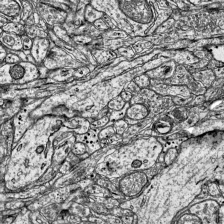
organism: Mouse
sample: Visual Cortex